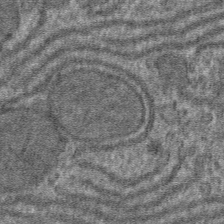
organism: Mouse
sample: Mouse hepatocytes